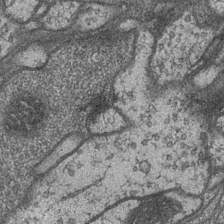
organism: Drosophila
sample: Optic medulla